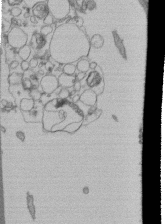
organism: Human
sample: Retinal organoid Rod and Cone cells